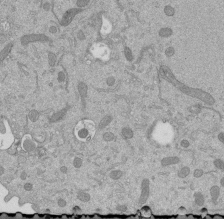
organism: Mouse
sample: ED-1 cell nuclei; centrioles